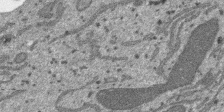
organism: Human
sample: Lung epithelial cells infected with SARS-CoV-2